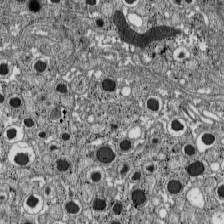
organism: C57BL Mouse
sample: Pancreatic islet